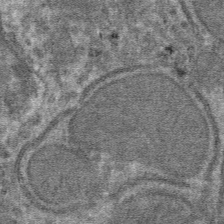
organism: Mouse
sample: Mouse hepatocytes